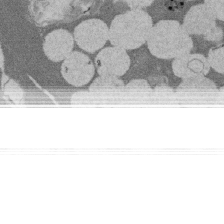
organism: Rat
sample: Salivary granule